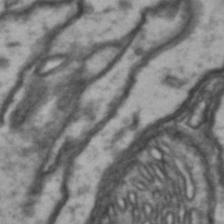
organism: Drosophila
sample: Brain